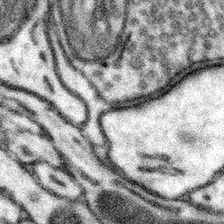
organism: Mouse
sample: Somatosensory cortex neuropil